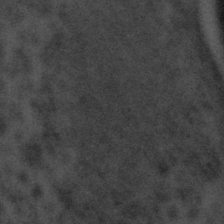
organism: Tuwongella immobilis